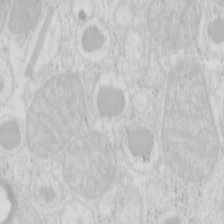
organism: Mouse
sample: Pancreas